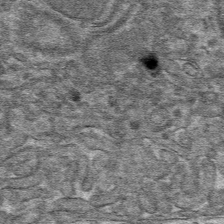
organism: Mouse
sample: Mouse hepatocytes